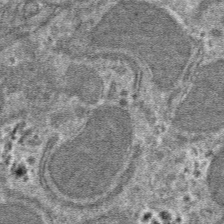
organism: Mouse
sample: Mouse hepatocytes